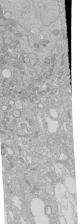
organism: Human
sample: Caco-2 cells